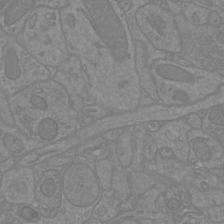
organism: Mouse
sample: Cortical neurons